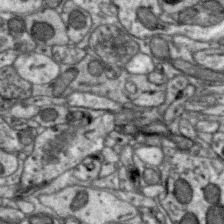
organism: Zebra finch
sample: Brain